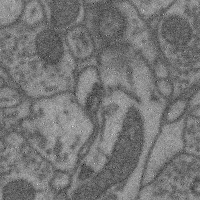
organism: Mouse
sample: Cerebral cortex